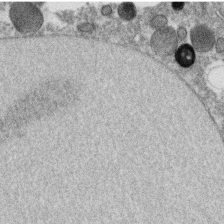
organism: C. elegans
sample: C. elegans oocyte; sperm cells